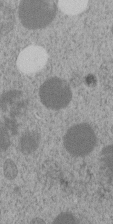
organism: C. elegans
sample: C. elegans embryo early stage